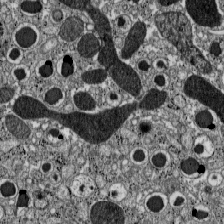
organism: C57BL Mouse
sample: Pancreatic islet